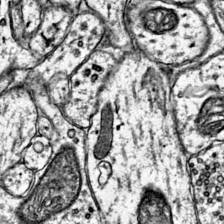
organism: Mouse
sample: Primary visual cortex